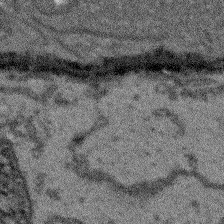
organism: Arabidopsis thaliana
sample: Root tip